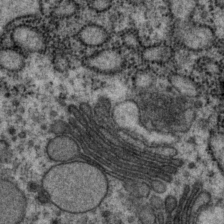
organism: P. pacificus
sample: Pharynx